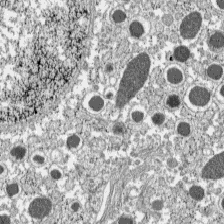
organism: C57BL Mouse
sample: Pancreatic islet